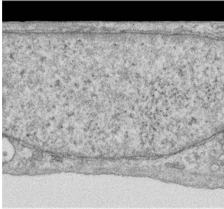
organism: Human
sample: Centriole in RPE cells